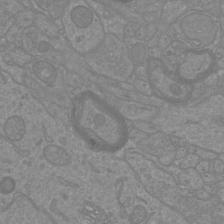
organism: Mouse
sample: Cortical neurons